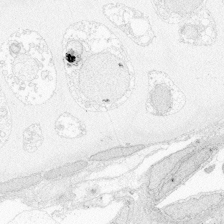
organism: Zebrafish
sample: Whole-Brain